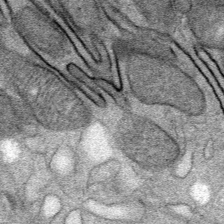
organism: Mouse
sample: Mouse Salivary gland